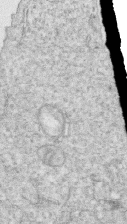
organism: Human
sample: HeLa cell HIV synapse